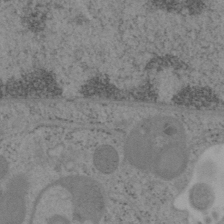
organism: Mouse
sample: OT-I killer T cells with ID8 ovarian cancer cells